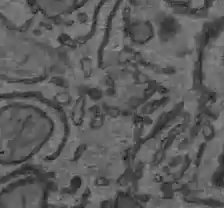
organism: C57BL Mouse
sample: Liver